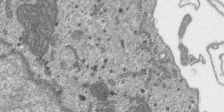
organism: Human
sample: Lung epithelial cells infected with SARS-CoV-2